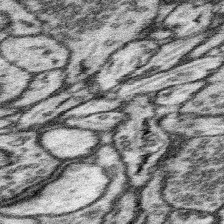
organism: Mouse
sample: Somatosensory cortex neuropil